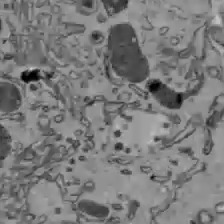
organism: C57BL Mouse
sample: Liver